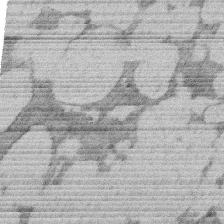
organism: Rat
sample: Salivary granule